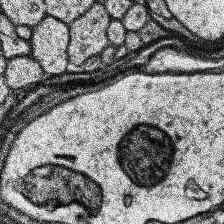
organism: Human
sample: Temporal Lobe